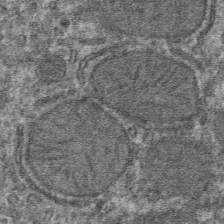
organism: Mouse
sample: Mouse hepatocytes